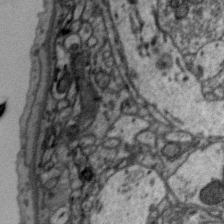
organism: Zebra finch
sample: Brain